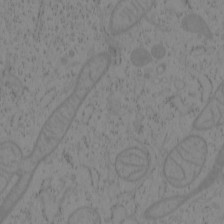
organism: Human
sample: HeLa cells